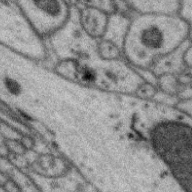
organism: Zebra finch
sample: Brain